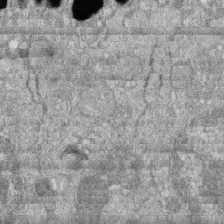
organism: Zebrafish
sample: Cilia; retinal pigment epithelium